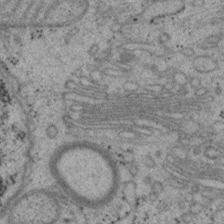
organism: Human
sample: HeLa cells